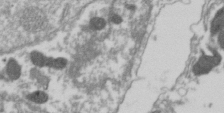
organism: Drosophila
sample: Cell division; meiosis; drosophila spermatocytes